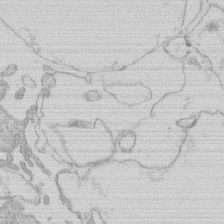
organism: Human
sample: Macrophage cells